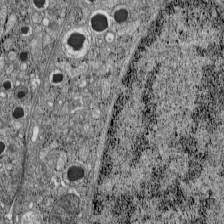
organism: C57BL Mouse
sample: Pancreatic islet